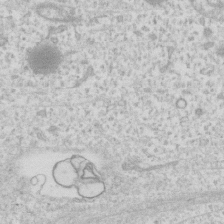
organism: Human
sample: Fibroblast cells